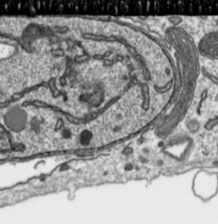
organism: Toxoplasma gondii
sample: Parasites in a vacuole inside a host cell